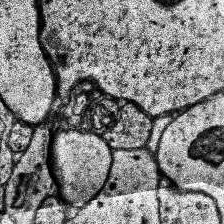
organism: Human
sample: Temporal Lobe